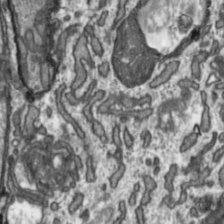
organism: Toxoplasma gondii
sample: Parasites in a vacuole inside a host cell